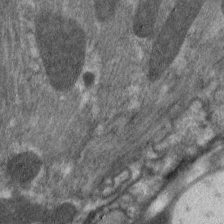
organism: C. elegans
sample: Pharynx